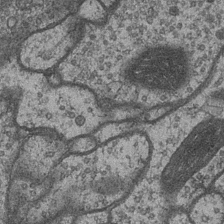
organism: Drosophila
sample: Optic medulla